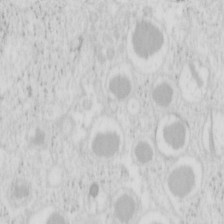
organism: Mouse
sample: Pancreas